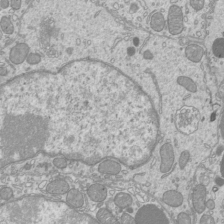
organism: Mouse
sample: Cilia; mouse epididymis